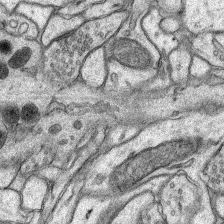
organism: Rat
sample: Hippocampus